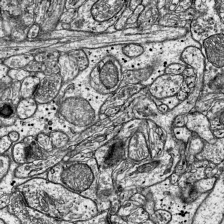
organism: Mouse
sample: Visual Cortex